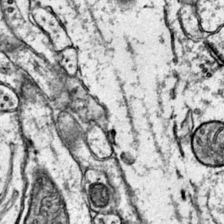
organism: Mouse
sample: Primary visual cortex